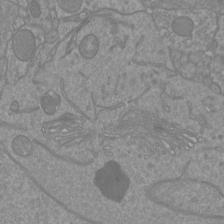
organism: Mouse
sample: Cortical neurons